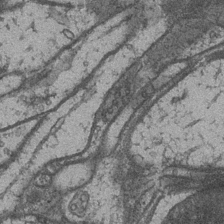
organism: Drosophila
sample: Optic medulla